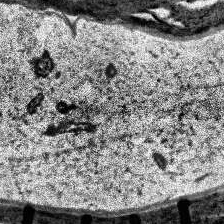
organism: Human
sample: Temporal Lobe